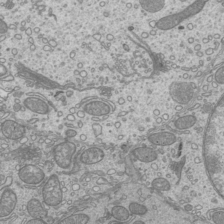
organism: Mouse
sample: Cilia; mouse epididymis